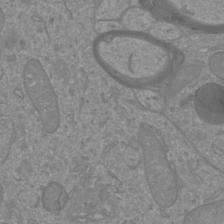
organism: Mouse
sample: Cortical neurons